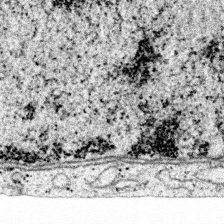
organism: Human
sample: HeLa cells